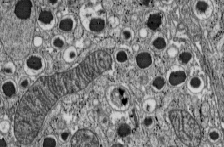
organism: C57BL Mouse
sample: Pancreatic islet